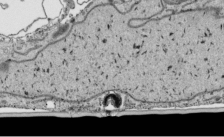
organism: Human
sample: Mitochondria in HCT116 cells